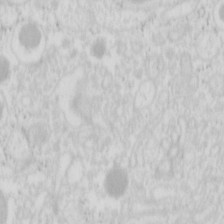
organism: Mouse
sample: Pancreas